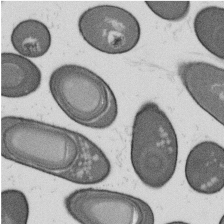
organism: B. subtilis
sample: Bacterial spore